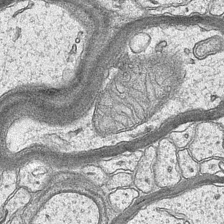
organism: Mouse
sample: CA1 Hippocampus